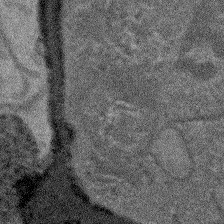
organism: Arabidopsis thaliana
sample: Root tip